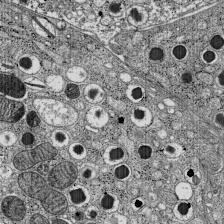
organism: C57BL Mouse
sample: Pancreatic islet